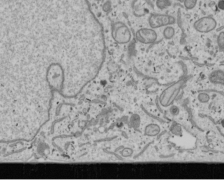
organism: Human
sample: Mitochondria in U2OS cells